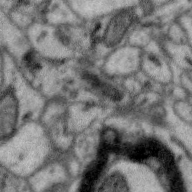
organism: Zebra finch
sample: Brain